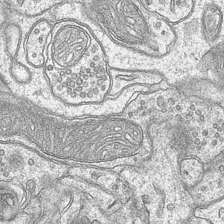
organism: Mouse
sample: CA1 Hippocampus